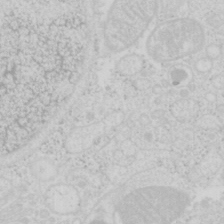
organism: Mouse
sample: Pancreas